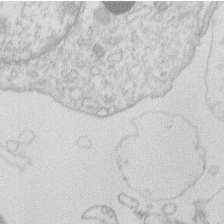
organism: Human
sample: Macrophage cells